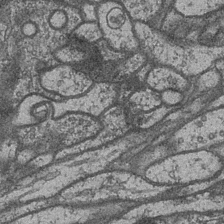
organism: Drosophila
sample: Optic medulla